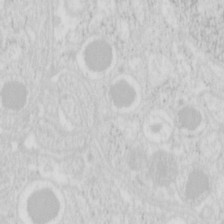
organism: Mouse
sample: Pancreas